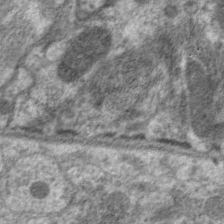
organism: C. elegans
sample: Pharynx